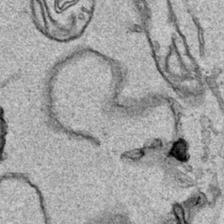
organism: Human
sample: Mitochondria in HCT116 cells